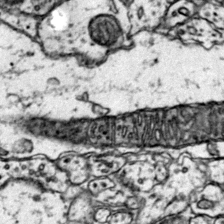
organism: Mouse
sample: Primary visual cortex